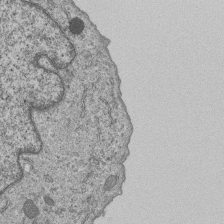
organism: Human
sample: MDA-MB-231 cells